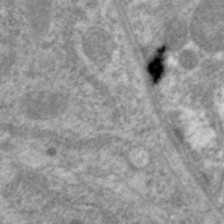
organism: C. elegans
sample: Pharynx